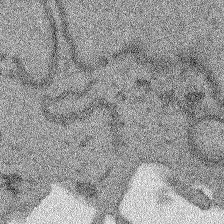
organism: Human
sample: HeLa cells